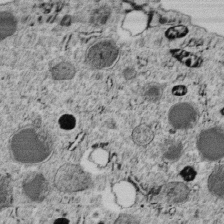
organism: C. elegans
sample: C. elegans embryo early stage